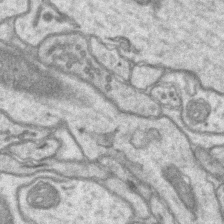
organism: Mouse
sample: CA1 Hippocampus